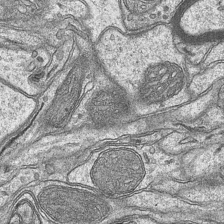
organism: Mouse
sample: CA1 Hippocampus